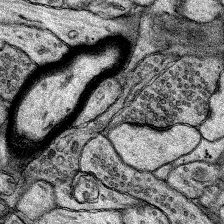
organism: Rat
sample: Hippocampus